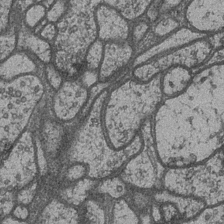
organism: Drosophila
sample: Optic medulla